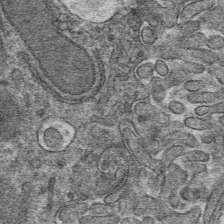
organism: Mouse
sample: Mouse hepatocytes